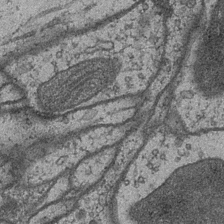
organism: Drosophila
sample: Optic medulla